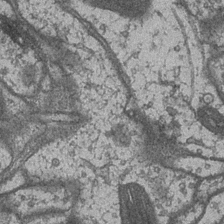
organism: Drosophila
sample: Optic medulla